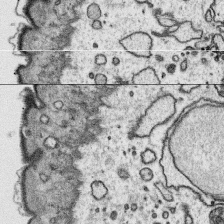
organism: Platynereis dumerilii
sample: Parapodia